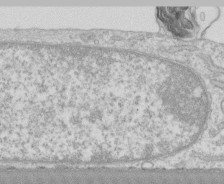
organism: Human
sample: CRL-1474